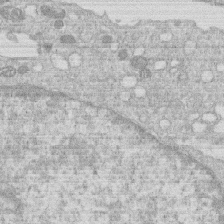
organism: Human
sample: Macrophage cells